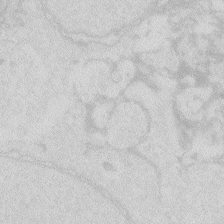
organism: Zebrafish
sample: Macrophage